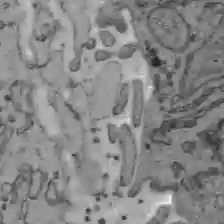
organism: C57BL Mouse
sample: Liver